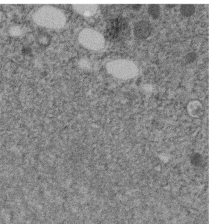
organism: C. elegans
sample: C. elegans embryo early stage